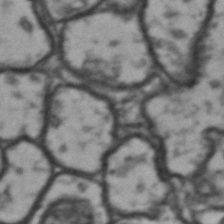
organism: Drosophila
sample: Brain